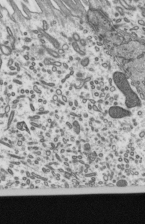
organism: Mouse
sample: Mouse epididymis efferent ductule cilia